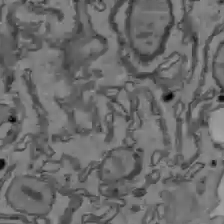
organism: C57BL Mouse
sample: Liver